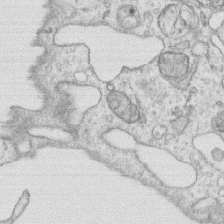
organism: Human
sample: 1205lu cells